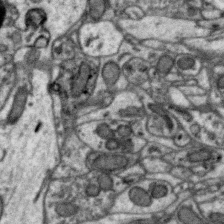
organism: Zebra finch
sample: Brain